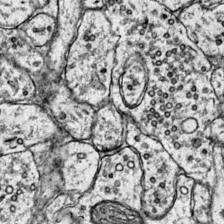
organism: Mouse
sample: Primary visual cortex